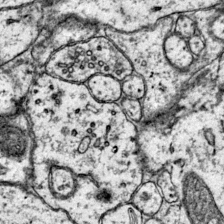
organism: Mouse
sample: Primary visual cortex